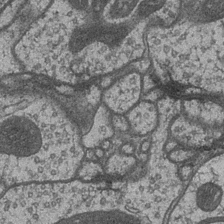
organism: Drosophila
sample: Optic medulla